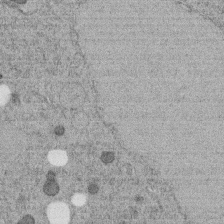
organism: C. elegans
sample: C. elegans embryo early stage